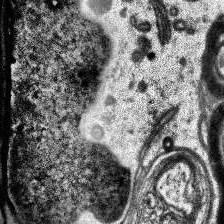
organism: Human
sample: Temporal Lobe